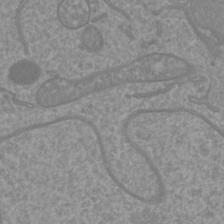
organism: Mouse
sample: Cortical neurons